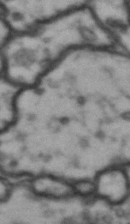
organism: Drosophila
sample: Brain